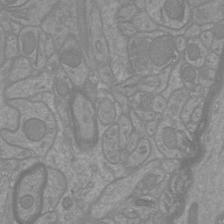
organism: Mouse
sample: Cortical neurons